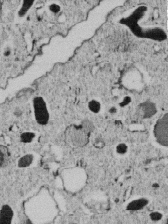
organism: C. elegans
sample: C. elegans embryo early stage